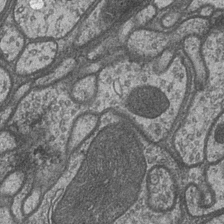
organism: Drosophila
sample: Optic medulla